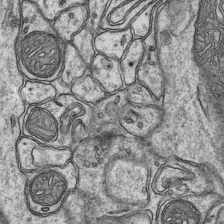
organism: Mouse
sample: CA1 Hippocampus